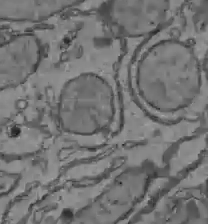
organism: C57BL Mouse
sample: Liver